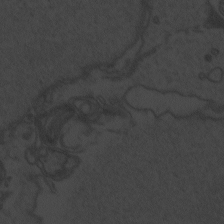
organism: Zebrafish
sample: Macrophage infected with Toxoplasma gondii